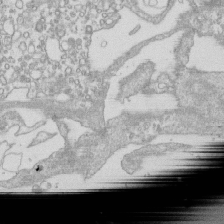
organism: Mouse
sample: Macrophages